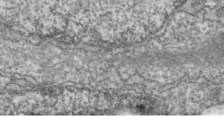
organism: Zebrafish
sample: Cilia; retinal pigment epithelium